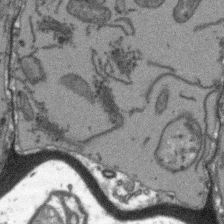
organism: Arabidopsis thaliana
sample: Root tip